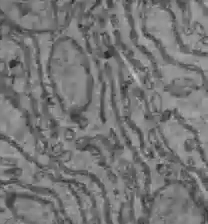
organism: C57BL Mouse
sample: Liver